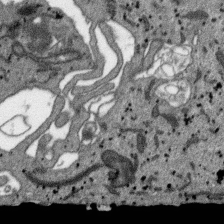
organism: Human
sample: Lung epithelial cells, uninfected (mock) control